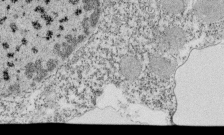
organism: Tetrahymena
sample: Cilia in tetrahymena